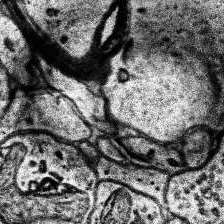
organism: Human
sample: Temporal Lobe